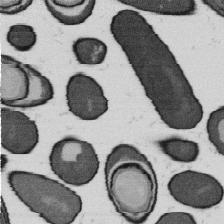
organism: B. subtilis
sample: Bacterial spore